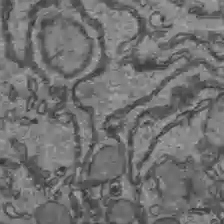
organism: C57BL Mouse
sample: Liver